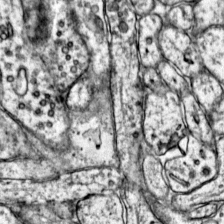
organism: Mouse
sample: Primary visual cortex